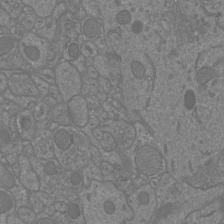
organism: Mouse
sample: Cortical neurons